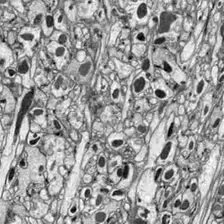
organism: Drosophila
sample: Optic lobe